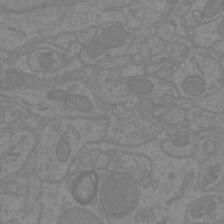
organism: Mouse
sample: Cortical neurons